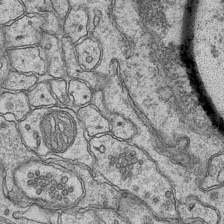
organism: Mouse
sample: CA1 Hippocampus